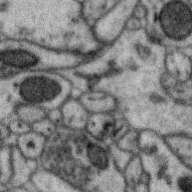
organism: Zebra finch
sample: Brain